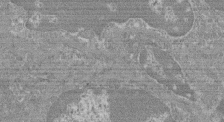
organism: Mouse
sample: Glomerulus